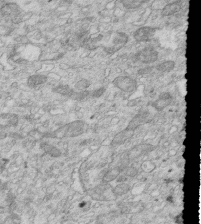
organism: Mouse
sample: Multiciliated cells